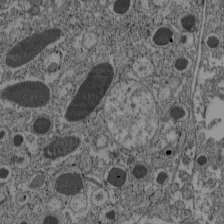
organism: C57BL Mouse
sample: Pancreatic islet